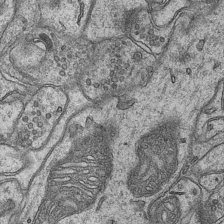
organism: Mouse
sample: CA1 Hippocampus